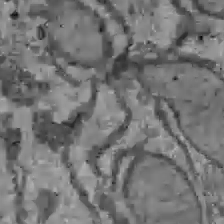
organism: C57BL Mouse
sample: Liver